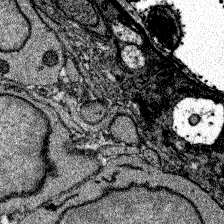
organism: Zebrafish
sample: Larval olfactory bulb